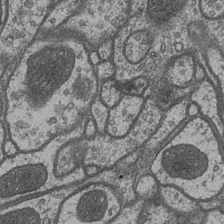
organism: Drosophila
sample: Optic medulla